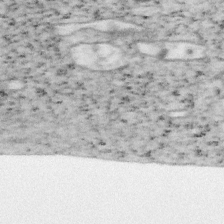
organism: Mouse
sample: OT-I killer T cells with ID8 ovarian cancer cells